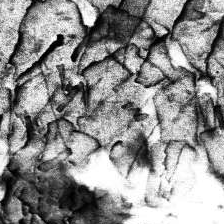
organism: Human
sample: Temporal Lobe